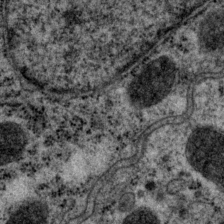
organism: P. pacificus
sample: Pharynx